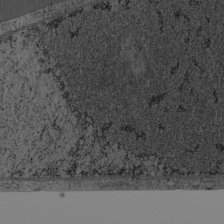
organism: African green monkey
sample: COS-7 cells